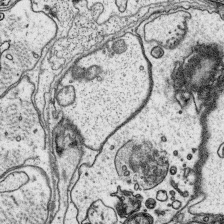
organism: Platynereis dumerilii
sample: Parapodia